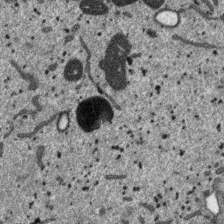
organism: Human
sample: Lung epithelial cells infected with SARS-CoV-2